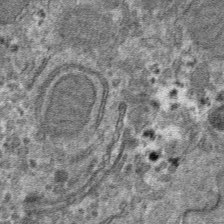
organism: Mouse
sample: Mouse hepatocytes